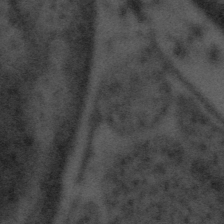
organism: Tuwongella immobilis